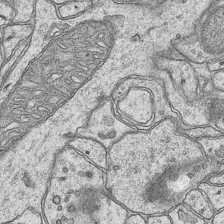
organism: Mouse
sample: CA1 Hippocampus